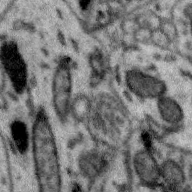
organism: Zebra finch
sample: Brain